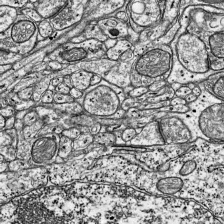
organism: Mouse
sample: Visual Cortex